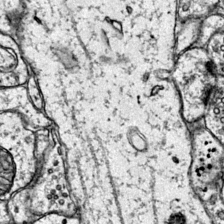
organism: Mouse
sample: Primary visual cortex